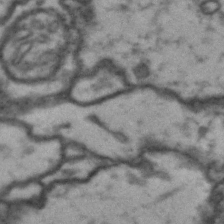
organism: Drosophila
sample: Brain